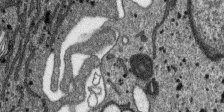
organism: Human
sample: Lung epithelial cells infected with SARS-CoV-2